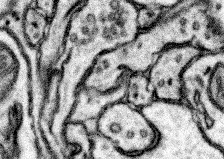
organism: Mouse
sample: Somatosensory cortex neuropil